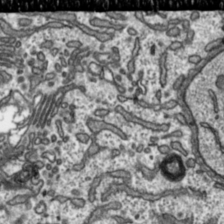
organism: Toxoplasma gondii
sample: Parasites in a vacuole inside a host cell